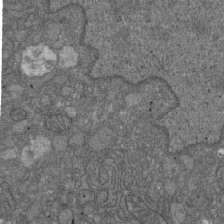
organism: Drosophila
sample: Nephrocyte